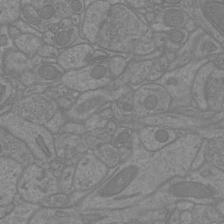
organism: Mouse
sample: Cortical neurons